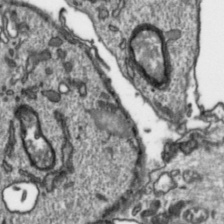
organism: Toxoplasma gondii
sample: Parasites in a vacuole inside a host cell